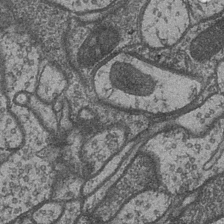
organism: Drosophila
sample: Optic medulla